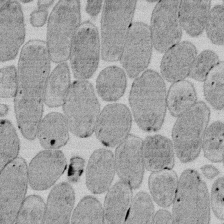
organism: E. coli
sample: Bacterial nucleoid